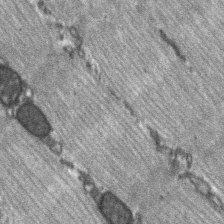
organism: C57BL Mouse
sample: Soleus